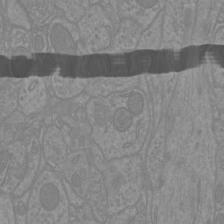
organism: Mouse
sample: Cortical neurons